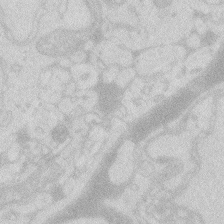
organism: Zebrafish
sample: Macrophage